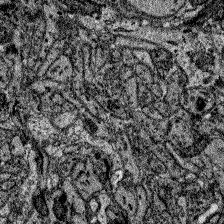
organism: Zebrafish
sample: Larval olfactory bulb